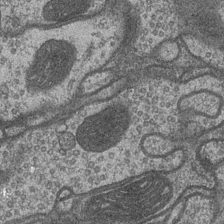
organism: Drosophila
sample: Optic medulla